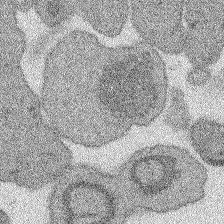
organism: Human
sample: HeLa cells